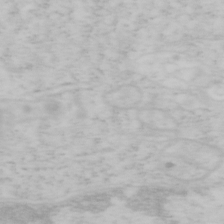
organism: Mouse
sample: OT-I killer T cells with ID8 ovarian cancer cells